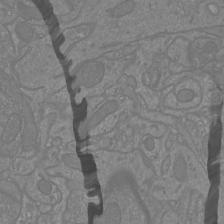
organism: Mouse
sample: Cortical neurons